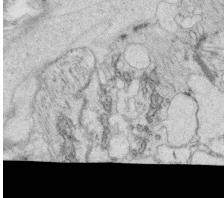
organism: C. elegans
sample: C. elegans oocyte; sperm cells